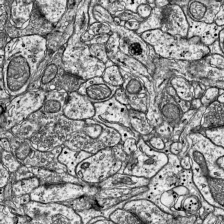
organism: Mouse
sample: Visual Cortex